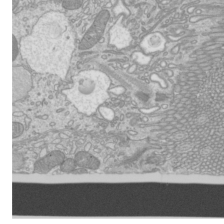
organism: Mouse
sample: Cilia; mouse epididymis